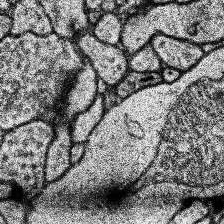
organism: Human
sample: Temporal Lobe